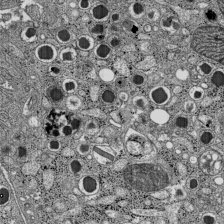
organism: C57BL Mouse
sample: Pancreatic islet